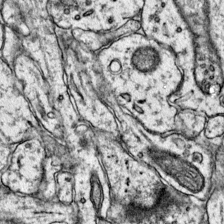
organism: Mouse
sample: Primary visual cortex